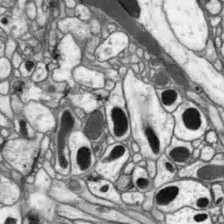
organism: Drosophila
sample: Optic lobe